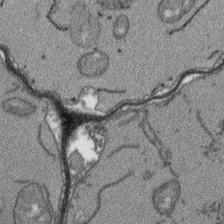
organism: Arabidopsis thaliana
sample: Root tip